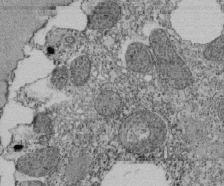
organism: Tetrahymena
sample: Cilia in tetrahymena